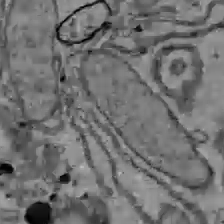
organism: C57BL Mouse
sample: Liver